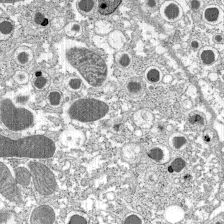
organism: C57BL Mouse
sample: Pancreatic islet